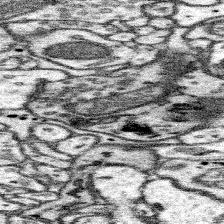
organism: Mouse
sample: Somatosensory cortex neuropil